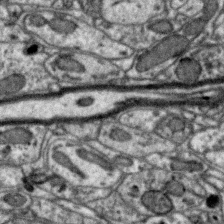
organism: Zebra finch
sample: Brain